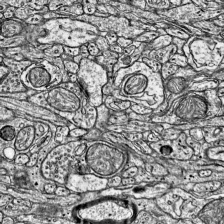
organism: Mouse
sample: Visual Cortex